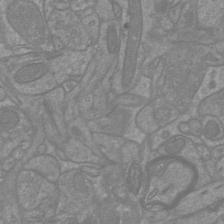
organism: Mouse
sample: Cortical neurons